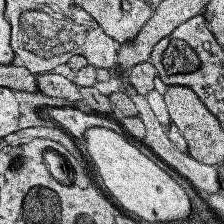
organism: Human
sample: Temporal Lobe